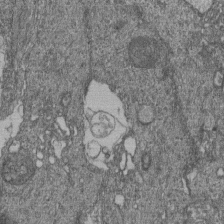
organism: Human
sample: Retinal organoid Rod and Cone cells